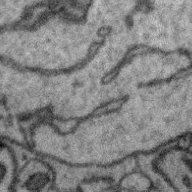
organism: Zebra finch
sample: Brain